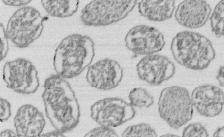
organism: E. coli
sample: Bacterial nucleoid